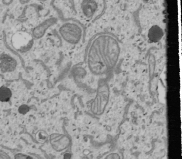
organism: Human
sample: Mitochondria in U2OS cells